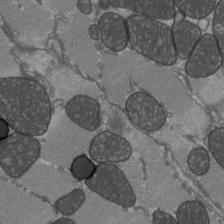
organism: C57BL Mouse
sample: Heart